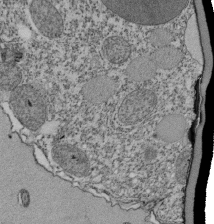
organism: Tetrahymena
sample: Cilia in tetrahymena